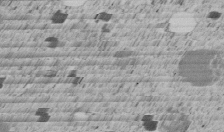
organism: C. elegans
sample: C. elegans embryo early stage